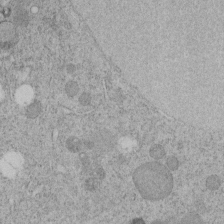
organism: C. elegans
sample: C. elegans embryo early stage